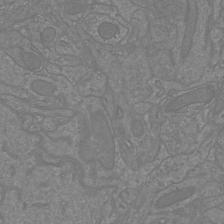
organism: Mouse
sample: Cortical neurons